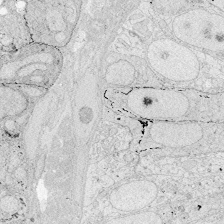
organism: Zebrafish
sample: Whole-Brain